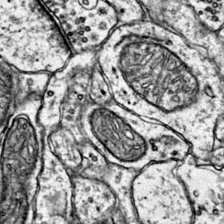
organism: Mouse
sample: Primary visual cortex